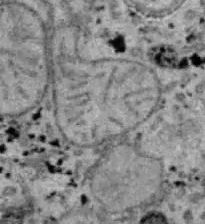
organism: Mouse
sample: Liver from an obese (ob/ob) mouse